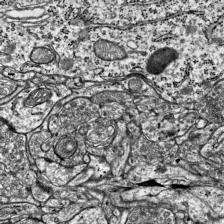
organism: Mouse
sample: Visual Cortex